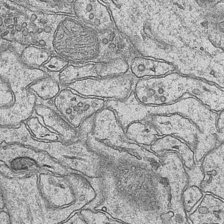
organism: Mouse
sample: CA1 Hippocampus